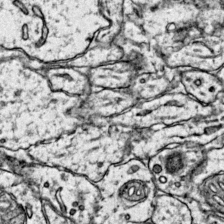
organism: Mouse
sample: Primary visual cortex